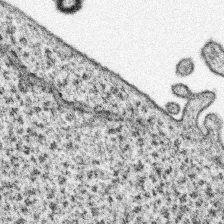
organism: Human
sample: HeLa cells